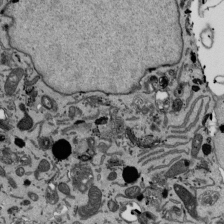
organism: Mouse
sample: ED-1 cell nuclei; centrioles